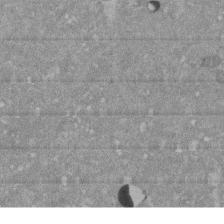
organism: Mouse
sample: ED-1 cell nuclei; centrioles